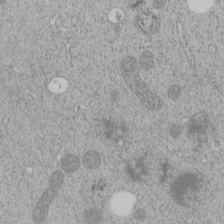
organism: C. elegans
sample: C. elegans embryo early stage